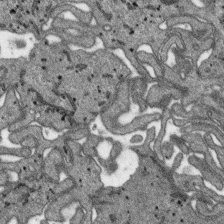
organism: Human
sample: Lung epithelial cells, uninfected (mock) control